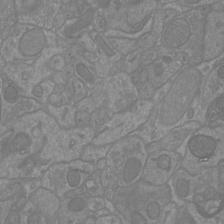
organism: Mouse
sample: Cortical neurons